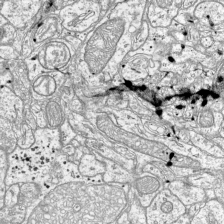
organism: Mouse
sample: Visual Cortex